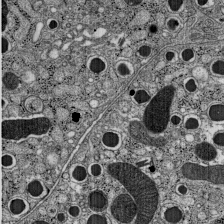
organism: C57BL Mouse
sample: Pancreatic islet